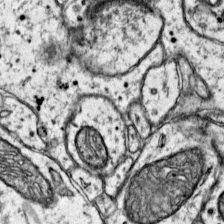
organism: Mouse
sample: Primary visual cortex